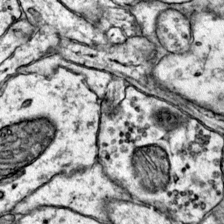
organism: Mouse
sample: Primary visual cortex